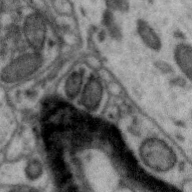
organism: Zebra finch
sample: Brain